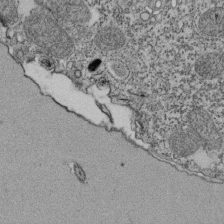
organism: Tetrahymena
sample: Cilia in tetrahymena